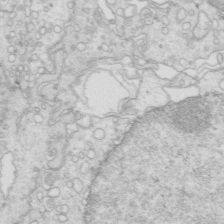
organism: Mouse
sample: Multiciliated cells